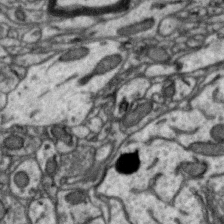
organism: Zebra finch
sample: Brain